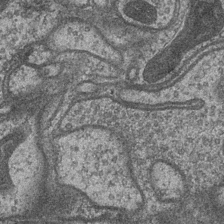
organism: Drosophila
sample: Optic medulla